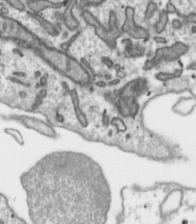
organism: Toxoplasma gondii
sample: Parasites in a vacuole inside a host cell